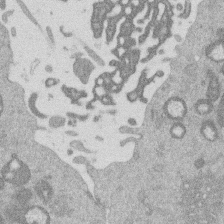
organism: Mouse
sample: Dividing mouse embryo 1 cell stage